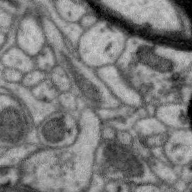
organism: Zebra finch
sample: Brain